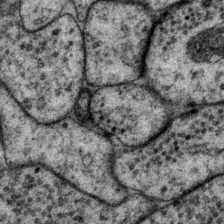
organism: P. pacificus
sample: Pharynx